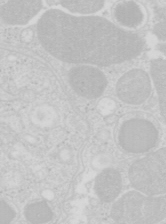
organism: Mouse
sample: Pancreas